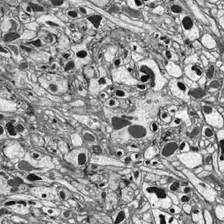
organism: Drosophila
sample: Optic lobe